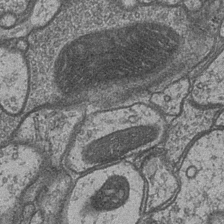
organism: Drosophila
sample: Optic medulla